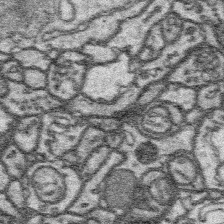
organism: Platynereis dumerilii